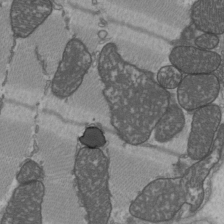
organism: C57BL Mouse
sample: Heart